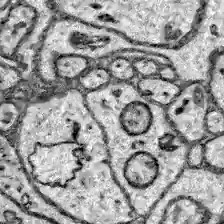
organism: Zebrafish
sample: Brain